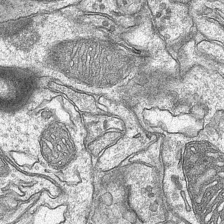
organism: Mouse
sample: CA1 Hippocampus